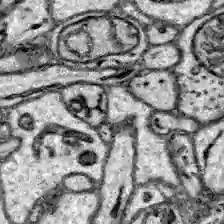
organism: Zebrafish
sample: Brain